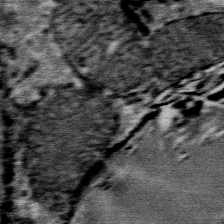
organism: Mouse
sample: Mouse Salivary gland